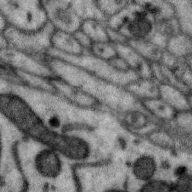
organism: Zebra finch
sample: Brain